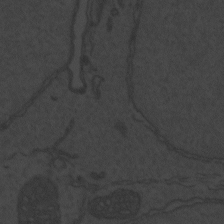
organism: Zebrafish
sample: Macrophage infected with Toxoplasma gondii